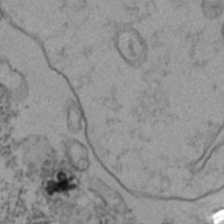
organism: Zebrafish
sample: Zebrafish embryo